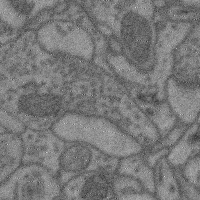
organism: Mouse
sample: Cerebral cortex